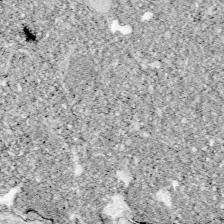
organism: Zebrafish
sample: Whole-Brain